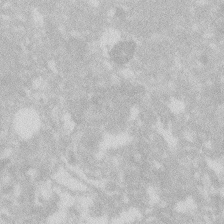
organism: Zebrafish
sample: Macrophage